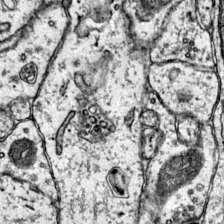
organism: Mouse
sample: Primary visual cortex